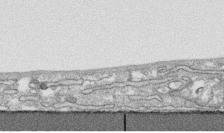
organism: Human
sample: CRL-1474